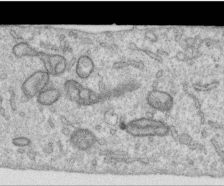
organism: Human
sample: Centriole in RPE cells